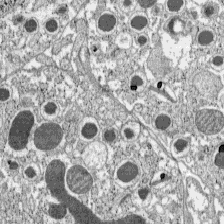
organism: C57BL Mouse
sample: Pancreatic islet